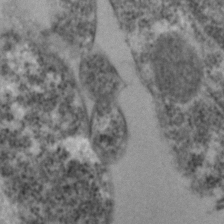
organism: Zebrafish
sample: Zebrafish embryo